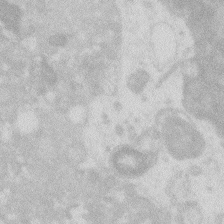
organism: Zebrafish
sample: Macrophage